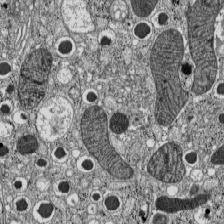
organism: C57BL Mouse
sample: Pancreatic islet